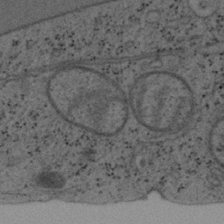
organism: Human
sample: HeLa cells